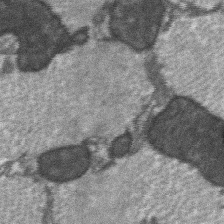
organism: C57BL Mouse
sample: Soleus